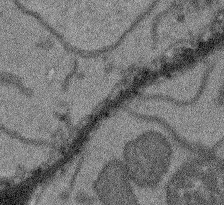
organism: Arabidopsis thaliana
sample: Root tip